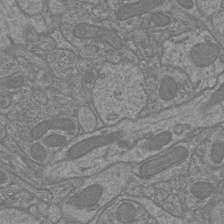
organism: Mouse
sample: Cortical neurons